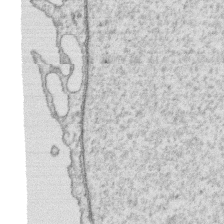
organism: Human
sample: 1205lu cells